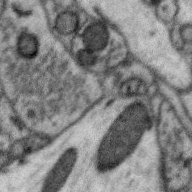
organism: Zebra finch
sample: Brain